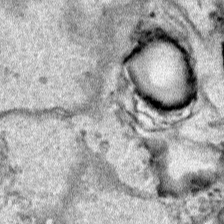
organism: Human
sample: Mitochondria in HCT116 cells